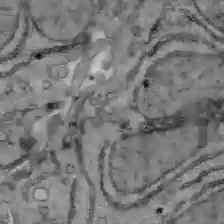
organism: C57BL Mouse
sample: Liver